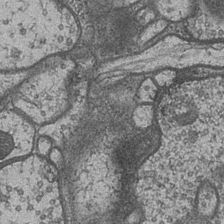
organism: Drosophila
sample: Optic medulla